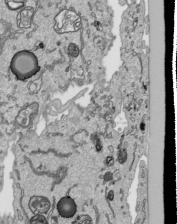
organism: Human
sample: Mitochondria in HCT116 cells